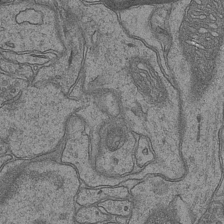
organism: Mouse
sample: CA1 Hippocampus